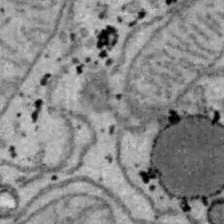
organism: Mouse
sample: Liver from an obese (ob/ob) mouse